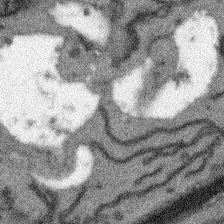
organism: Arabidopsis thaliana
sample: Root tip